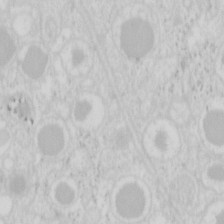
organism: Mouse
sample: Pancreas